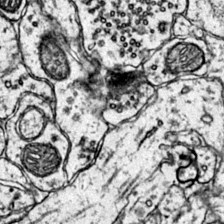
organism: Mouse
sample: Primary visual cortex